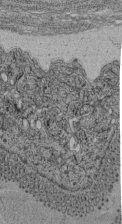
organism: C. elegans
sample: C. elegans pharynx